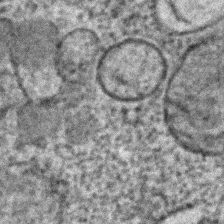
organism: C. elegans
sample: C. elegans embryo